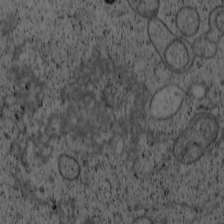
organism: African green monkey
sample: COS-7 cells